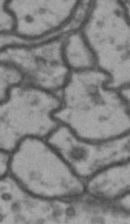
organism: Drosophila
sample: Brain